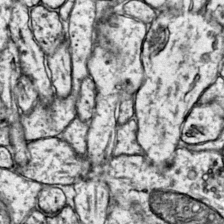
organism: Mouse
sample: Primary visual cortex